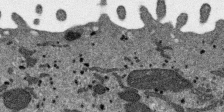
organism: Human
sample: Lung epithelial cells, uninfected (mock) control